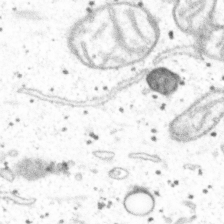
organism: Human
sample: HeLa cells